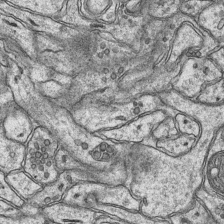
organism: Mouse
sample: CA1 Hippocampus